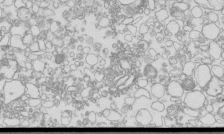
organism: Mouse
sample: Macrophages